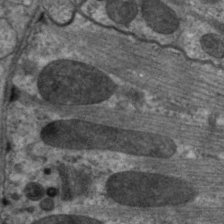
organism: C. elegans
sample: Pharynx